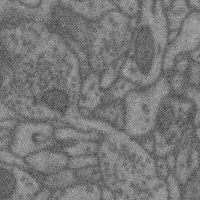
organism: Mouse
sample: Cerebral cortex